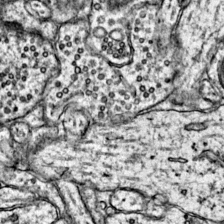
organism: Mouse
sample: Primary visual cortex